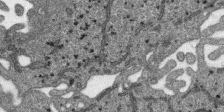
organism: Human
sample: Lung epithelial cells infected with SARS-CoV-2